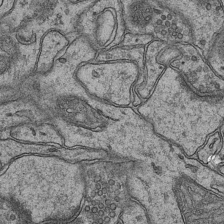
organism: Mouse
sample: CA1 Hippocampus